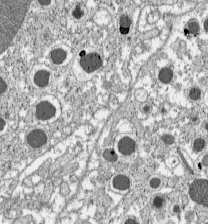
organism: C57BL Mouse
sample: Pancreatic islet